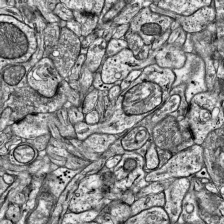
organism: Mouse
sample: Visual Cortex